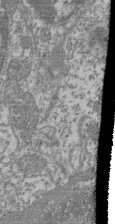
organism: Mouse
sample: Glomerulus